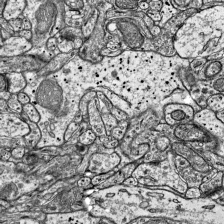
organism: Mouse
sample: Visual Cortex